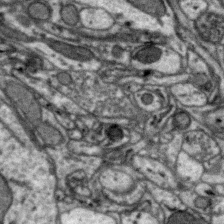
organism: Zebra finch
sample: Brain